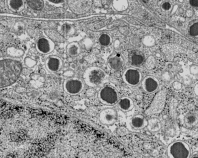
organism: C57BL Mouse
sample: Pancreatic islet